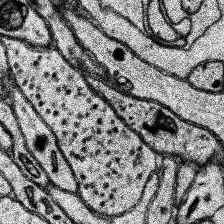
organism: Human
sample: Temporal Lobe